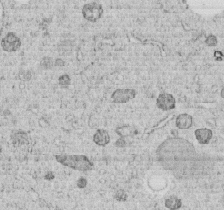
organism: C. elegans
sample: C. elegans embryo early stage